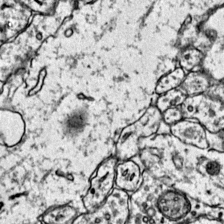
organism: Mouse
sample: Primary visual cortex